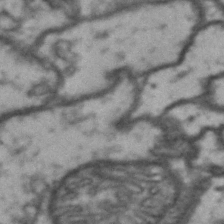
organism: Drosophila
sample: Brain